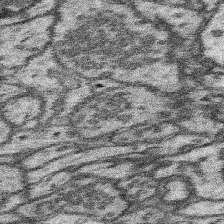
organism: Mouse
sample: Somatosensory cortex neuropil